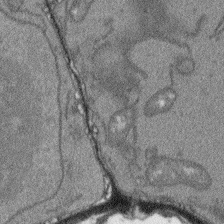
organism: Arabidopsis thaliana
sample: Root tip